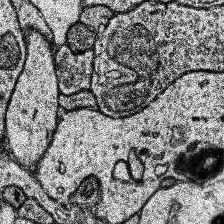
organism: Human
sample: Temporal Lobe